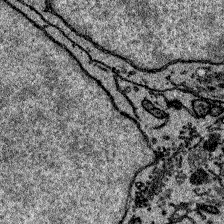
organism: Zebrafish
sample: Larval olfactory bulb